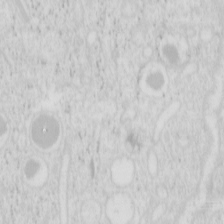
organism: Mouse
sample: Pancreas